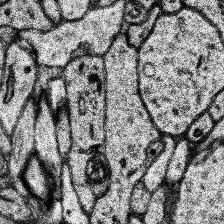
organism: Human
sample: Temporal Lobe